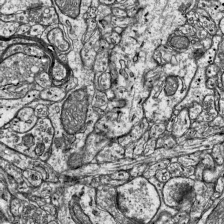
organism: Mouse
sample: Visual Cortex